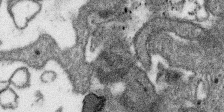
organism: Human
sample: Lung epithelial cells infected with SARS-CoV-2